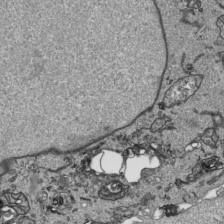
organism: Human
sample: Mitochondria in HCT116 cells